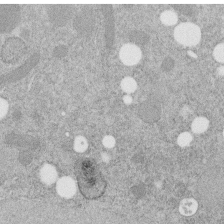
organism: C. elegans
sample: C. elegans embryo early stage